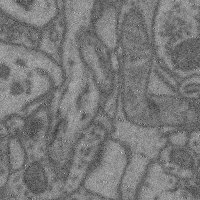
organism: Mouse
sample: Cerebral cortex